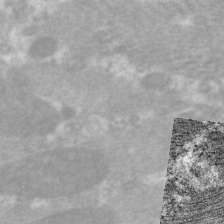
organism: C. elegans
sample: Pharynx